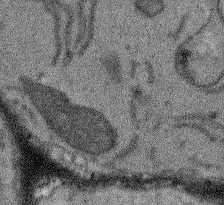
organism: Arabidopsis thaliana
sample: Root tip